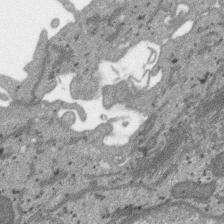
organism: Human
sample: Lung epithelial cells infected with SARS-CoV-2